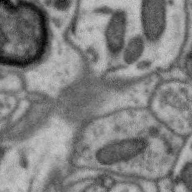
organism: Zebra finch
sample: Brain